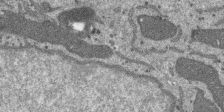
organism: Human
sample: Lung epithelial cells infected with SARS-CoV-2